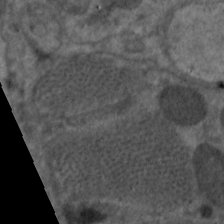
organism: C. elegans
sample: Pharynx